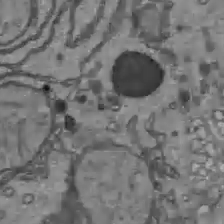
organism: C57BL Mouse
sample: Liver